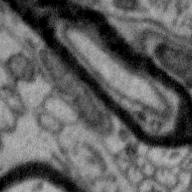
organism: Zebra finch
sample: Brain